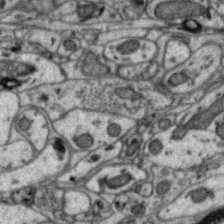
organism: Zebra finch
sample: Brain